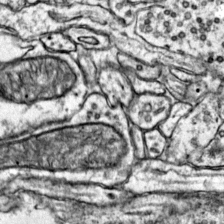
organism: Mouse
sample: Primary visual cortex